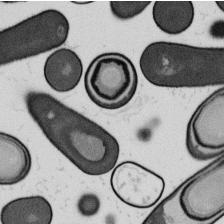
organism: B. subtilis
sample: Bacterial spore